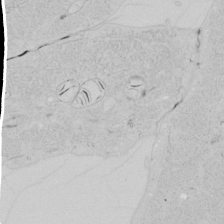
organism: Human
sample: Mitochondria in HCT116 cells